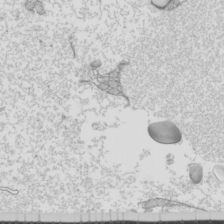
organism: Mouse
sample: Cilia; mouse epididymis